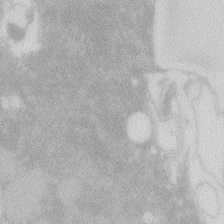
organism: Zebrafish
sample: Macrophage